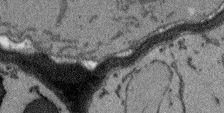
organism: Arabidopsis thaliana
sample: Root tip